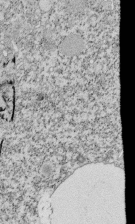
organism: Tetrahymena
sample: Cilia in tetrahymena